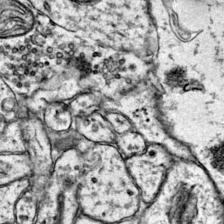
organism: Mouse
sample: Primary visual cortex